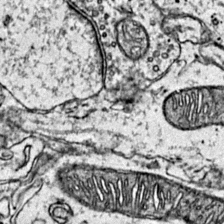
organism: Mouse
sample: Primary visual cortex